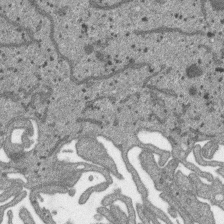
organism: Human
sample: Lung epithelial cells infected with SARS-CoV-2